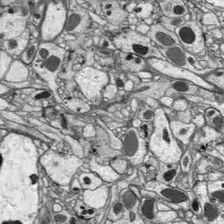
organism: Drosophila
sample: Optic lobe